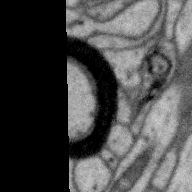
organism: Zebra finch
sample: Brain